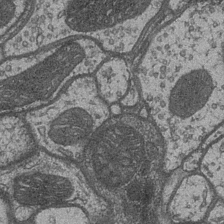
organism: Drosophila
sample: Optic medulla